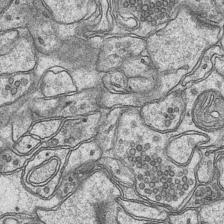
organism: Mouse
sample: CA1 Hippocampus